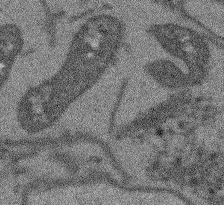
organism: Arabidopsis thaliana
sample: Root tip